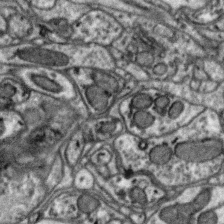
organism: Zebra finch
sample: Brain